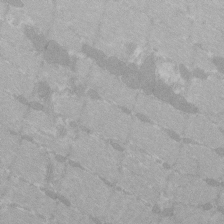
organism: C57BL Mouse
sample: Tibialis anterior muscle cell